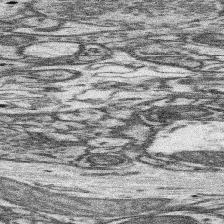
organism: Mouse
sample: Somatosensory cortex neuropil